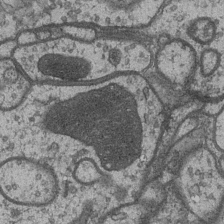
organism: Drosophila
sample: Optic medulla